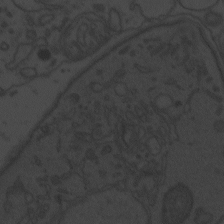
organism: Zebrafish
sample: Macrophage infected with Toxoplasma gondii